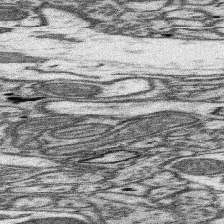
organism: Mouse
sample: Somatosensory cortex neuropil